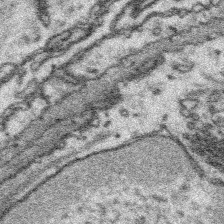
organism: Platynereis dumerilii